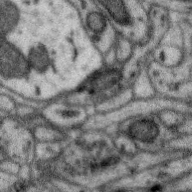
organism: Zebra finch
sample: Brain